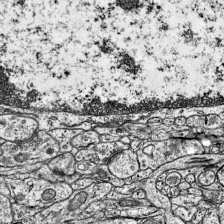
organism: Mouse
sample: Visual Cortex